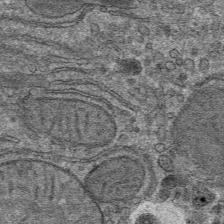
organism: Mouse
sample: Mouse hepatocytes